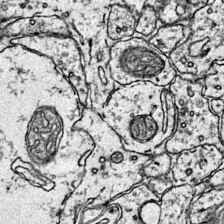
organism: Mouse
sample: Primary visual cortex